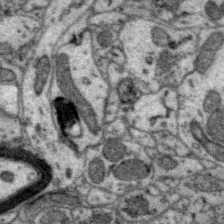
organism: Zebra finch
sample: Brain